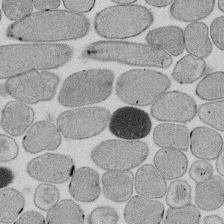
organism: E. coli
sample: Bacterial nucleoid